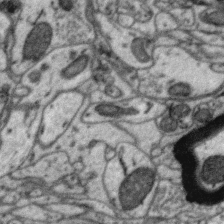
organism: Zebra finch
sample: Brain